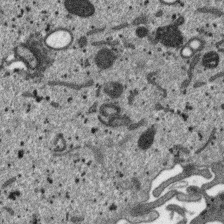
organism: Human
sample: Lung epithelial cells infected with SARS-CoV-2